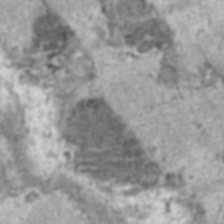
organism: C57BL Mouse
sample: Heart